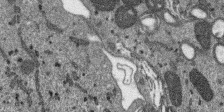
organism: Human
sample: Lung epithelial cells infected with SARS-CoV-2